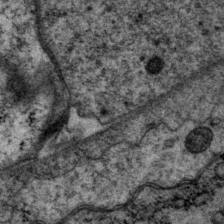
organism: P. pacificus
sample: Pharynx